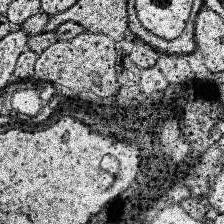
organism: Human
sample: Temporal Lobe